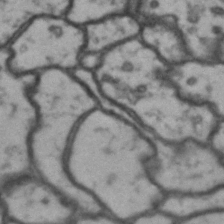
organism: Drosophila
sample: Brain